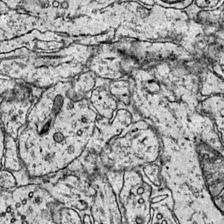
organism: Mouse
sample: Primary visual cortex